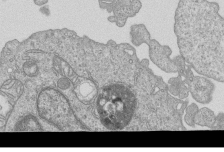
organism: Human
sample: MDA-MB-231 cells